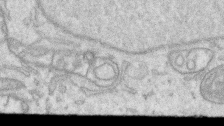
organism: Human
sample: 1205lu cells